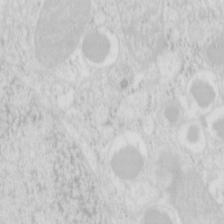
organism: Mouse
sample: Pancreas